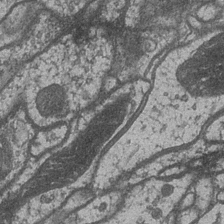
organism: Drosophila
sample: Optic medulla